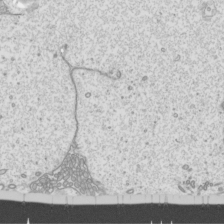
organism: Mouse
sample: Cilia; mouse epididymis